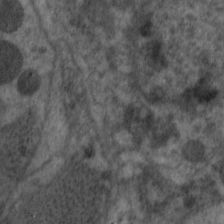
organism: C. elegans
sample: Pharynx